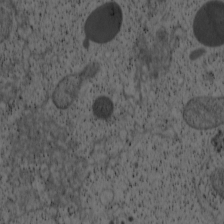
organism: African green monkey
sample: COS-7 cells